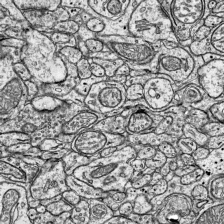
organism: Mouse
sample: Visual Cortex